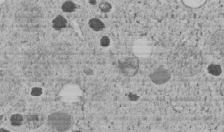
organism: C. elegans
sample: C. elegans embryo early stage